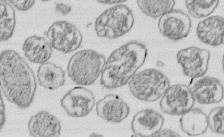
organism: E. coli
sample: Bacterial nucleoid